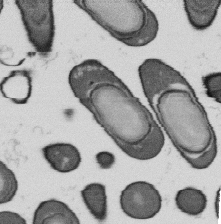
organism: B. subtilis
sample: Bacterial spore